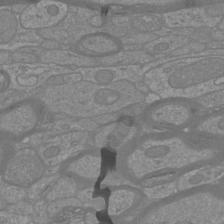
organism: Mouse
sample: Cortical neurons